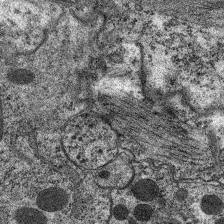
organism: C. elegans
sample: Pharynx